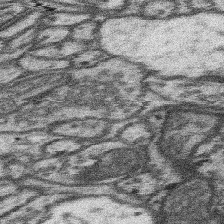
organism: Mouse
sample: Somatosensory cortex neuropil